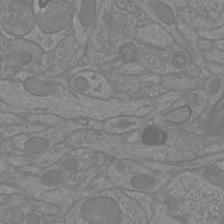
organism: Mouse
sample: Cortical neurons